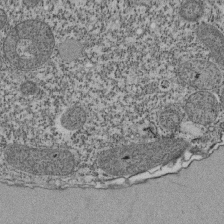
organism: Tetrahymena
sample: Cilia in tetrahymena